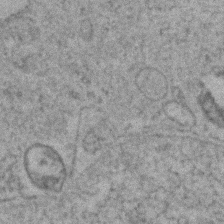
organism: Zebrafish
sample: Zebrafish embryo